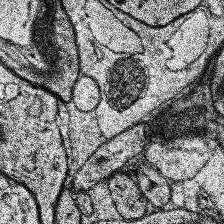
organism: Human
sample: Temporal Lobe